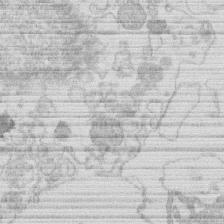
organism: Human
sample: Macrophage cells